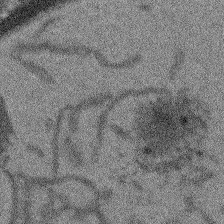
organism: Arabidopsis thaliana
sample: Root tip